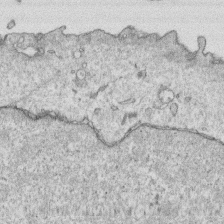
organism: Human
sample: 1205lu cells